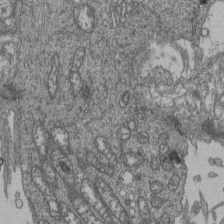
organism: Human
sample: Retinal organoid Rod and Cone cells